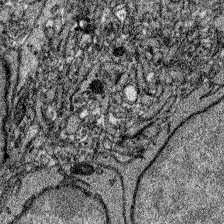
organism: Zebrafish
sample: Larval olfactory bulb